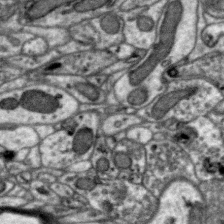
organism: Zebra finch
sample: Brain